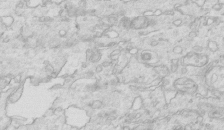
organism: Mouse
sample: Multiciliated cells